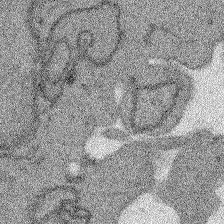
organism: Human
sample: HeLa cells